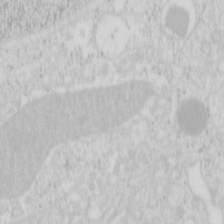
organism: Mouse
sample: Pancreas